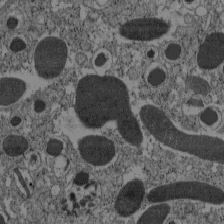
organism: C57BL Mouse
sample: Pancreatic islet